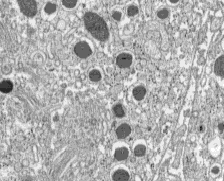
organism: C57BL Mouse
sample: Pancreatic islet